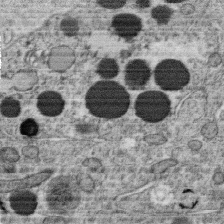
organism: C. elegans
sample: C. elegans oocyte; sperm cells